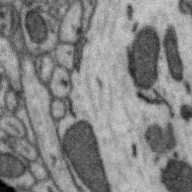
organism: Zebra finch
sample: Brain